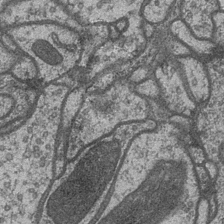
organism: Drosophila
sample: Optic medulla